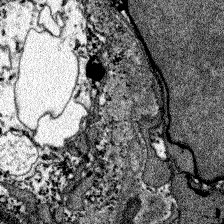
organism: Zebrafish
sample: Larval olfactory bulb